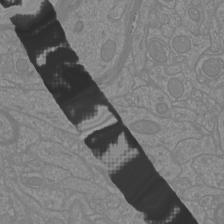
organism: Mouse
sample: Cortical neurons